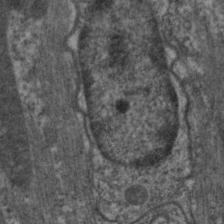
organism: C. elegans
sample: Pharynx